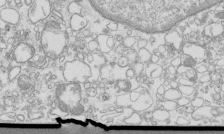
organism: Mouse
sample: Macrophages